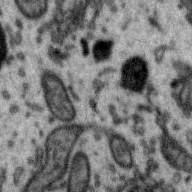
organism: Zebra finch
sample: Brain